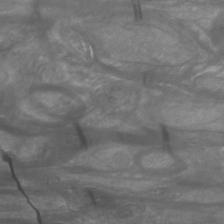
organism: Mouse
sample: Cortical neurons